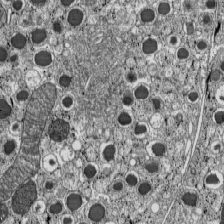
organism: C57BL Mouse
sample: Pancreatic islet